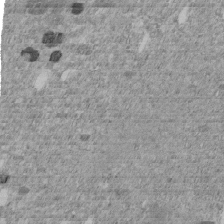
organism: C. elegans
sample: C. elegans embryo early stage